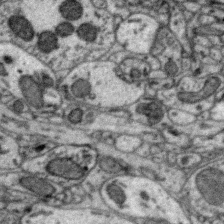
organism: Zebra finch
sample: Brain